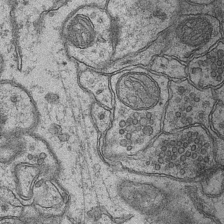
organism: Mouse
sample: CA1 Hippocampus